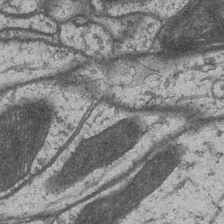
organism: Drosophila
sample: Optic medulla